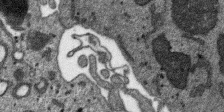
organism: Human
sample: Lung epithelial cells infected with SARS-CoV-2